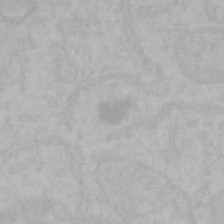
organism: Mouse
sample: Choroid plexus